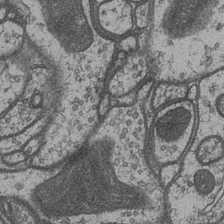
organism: Drosophila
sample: Optic medulla